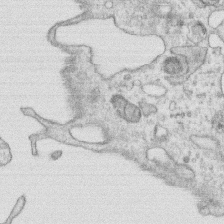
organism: Human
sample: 1205lu cells